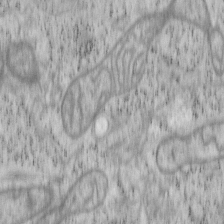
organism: Human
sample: HeLa cells